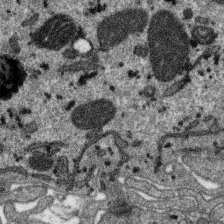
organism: Human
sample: Lung epithelial cells infected with SARS-CoV-2